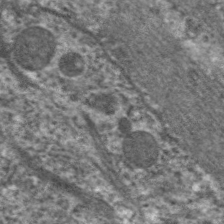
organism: C. elegans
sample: Pharynx